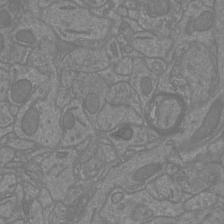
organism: Mouse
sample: Cortical neurons